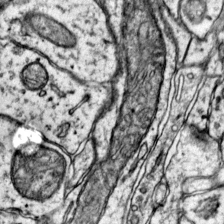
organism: Mouse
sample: Primary visual cortex